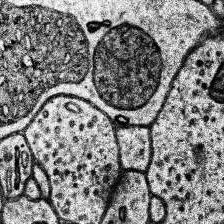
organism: Human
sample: Temporal Lobe